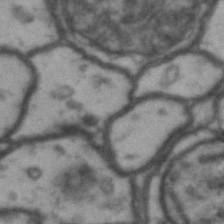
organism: Drosophila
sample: Brain